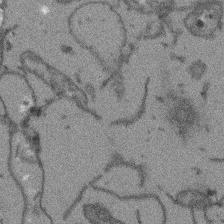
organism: Arabidopsis thaliana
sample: Root tip